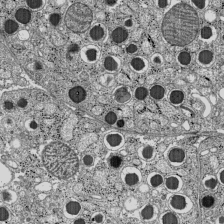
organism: C57BL Mouse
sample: Pancreatic islet